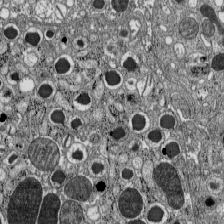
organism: C57BL Mouse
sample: Pancreatic islet